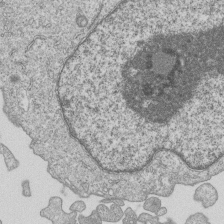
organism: Human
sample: MDA-MB-231 cells